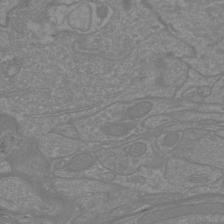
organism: Mouse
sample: Cortical neurons